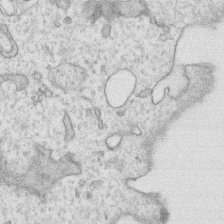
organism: Human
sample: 1205lu cells